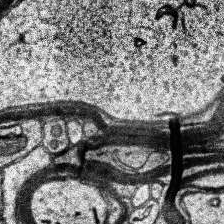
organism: Human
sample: Temporal Lobe